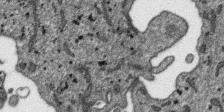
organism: Human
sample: Lung epithelial cells infected with SARS-CoV-2